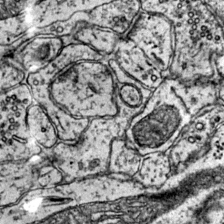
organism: Mouse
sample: Primary visual cortex